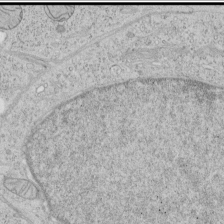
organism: Human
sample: Mitochondria in HCT116 cells